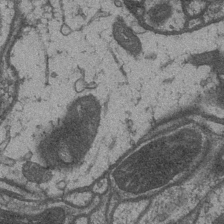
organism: Drosophila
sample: Optic medulla